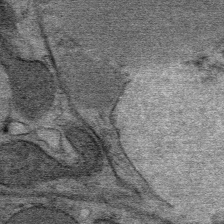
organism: Mouse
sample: Mouse Salivary gland